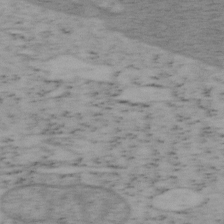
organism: Mouse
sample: OT-I killer T cells with ID8 ovarian cancer cells